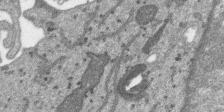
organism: Human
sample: Lung epithelial cells infected with SARS-CoV-2